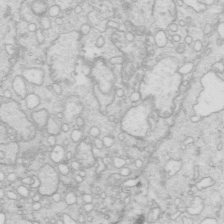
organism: Mouse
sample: Multiciliated cells